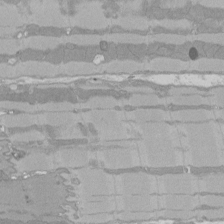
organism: Rat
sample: Left ventricle